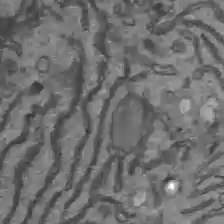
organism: C57BL Mouse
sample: Liver